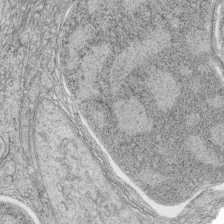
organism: Zebrafish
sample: synaptic ribbons in rod cells and cone cells